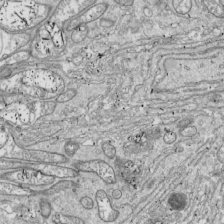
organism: Drosophila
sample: Cell division; meiosis; drosophila spermatocytes